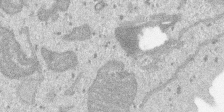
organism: Human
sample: Lung epithelial cells infected with SARS-CoV-2